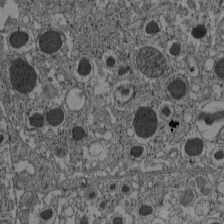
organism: C57BL Mouse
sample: Pancreatic islet